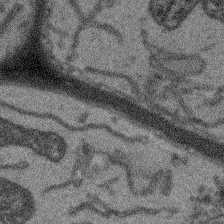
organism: Arabidopsis thaliana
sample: Root tip